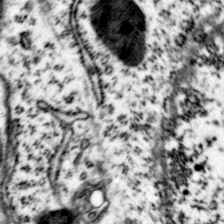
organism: Mouse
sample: Primary visual cortex